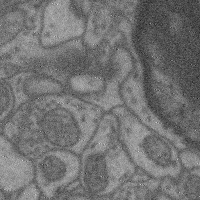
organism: Mouse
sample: Cerebral cortex